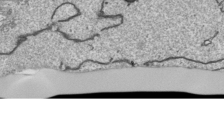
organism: Human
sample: Mitochondria in HCT116 cells